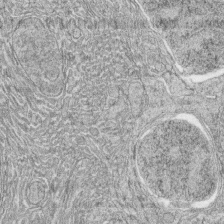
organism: Zebrafish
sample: synaptic ribbons in rod cells and cone cells